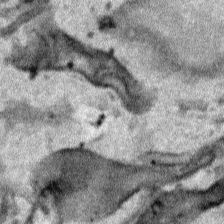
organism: Human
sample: Mitochondria in HCT116 cells